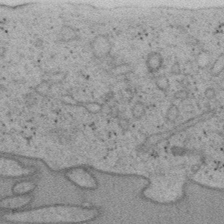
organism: Human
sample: HeLa cells